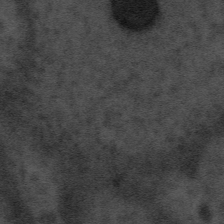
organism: Tuwongella immobilis